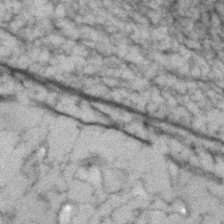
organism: Human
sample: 1205lu cells